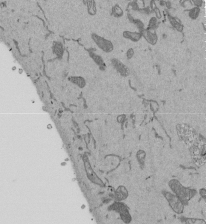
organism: Mouse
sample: ED-1 cell nuclei; centrioles